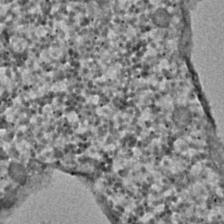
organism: C. elegans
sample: C. elegans embryo